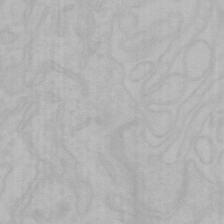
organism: Mouse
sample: Choroid plexus